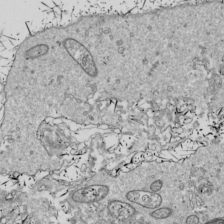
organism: Drosophila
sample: Cell division; meiosis; drosophila spermatocytes